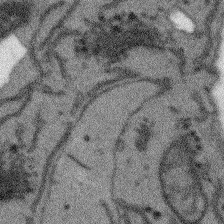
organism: Arabidopsis thaliana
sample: Root tip